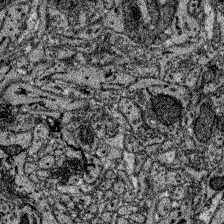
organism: Zebrafish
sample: Larval olfactory bulb